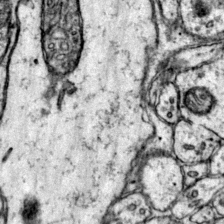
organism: Mouse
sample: Primary visual cortex